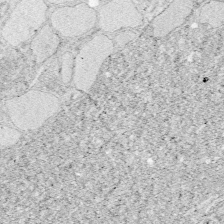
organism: Zebrafish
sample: Whole-Brain